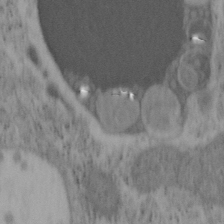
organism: Mouse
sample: OT-I killer T cells with ID8 ovarian cancer cells